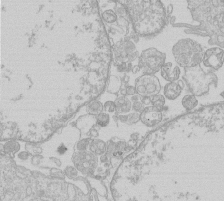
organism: Human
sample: Macrophage cells